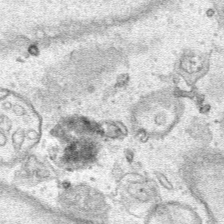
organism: Human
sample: Mitochondria in HCT116 cells